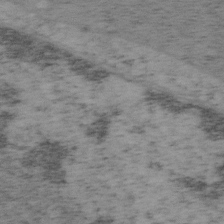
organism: Mouse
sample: OT-I killer T cells with ID8 ovarian cancer cells